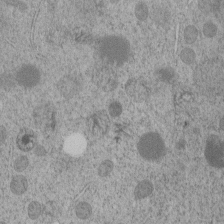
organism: C. elegans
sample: C. elegans embryo early stage